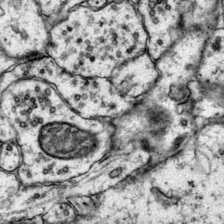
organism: Mouse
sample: Primary visual cortex